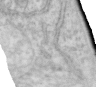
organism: Human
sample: Centriole in RPE cells